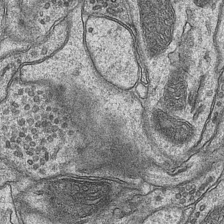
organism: Mouse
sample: CA1 Hippocampus